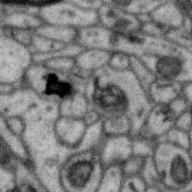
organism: Zebra finch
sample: Brain